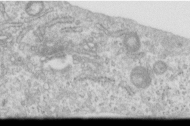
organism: Human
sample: Centriole in RPE cells